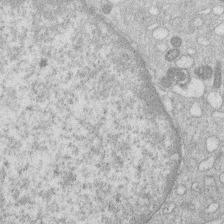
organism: Human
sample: Macrophage cells